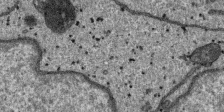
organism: Human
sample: Lung epithelial cells, uninfected (mock) control